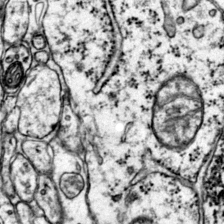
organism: Mouse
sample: Primary visual cortex